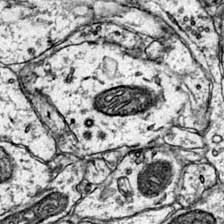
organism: Mouse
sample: Primary visual cortex